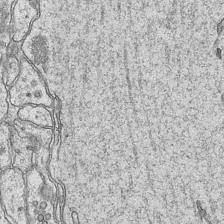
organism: Mouse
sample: CA1 Hippocampus